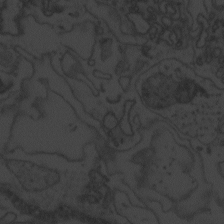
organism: Zebrafish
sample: Macrophage infected with Toxoplasma gondii